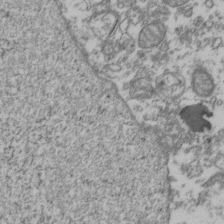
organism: Human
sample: Activated Jurkat CD4+ T cells